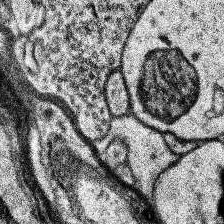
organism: Human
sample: Temporal Lobe